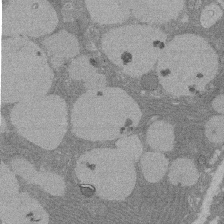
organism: Rat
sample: Salivary granule